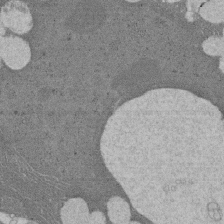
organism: Rat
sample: Salivary granule